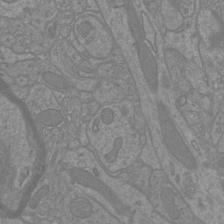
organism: Mouse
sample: Cortical neurons